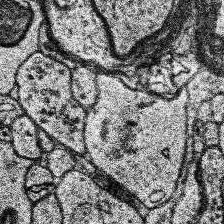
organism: Human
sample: Temporal Lobe